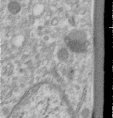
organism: Human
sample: Centriole in RPE cells